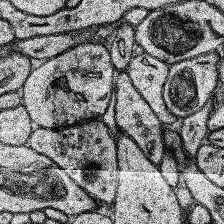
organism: Human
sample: Temporal Lobe